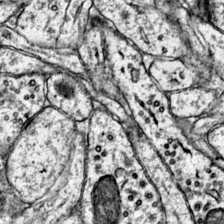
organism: Mouse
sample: Primary visual cortex